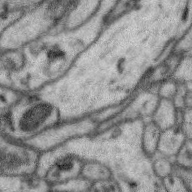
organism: Zebra finch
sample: Brain